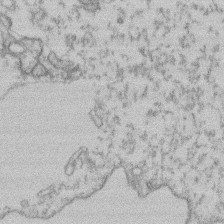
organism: Mouse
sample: T cell stromal cell synapse